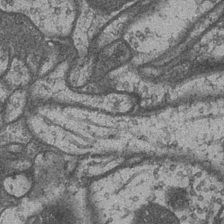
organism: Drosophila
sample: Optic medulla